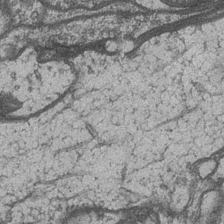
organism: Drosophila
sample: Optic medulla